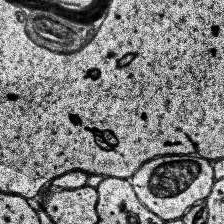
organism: Human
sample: Temporal Lobe